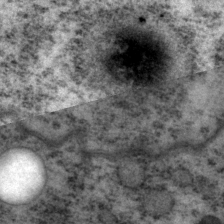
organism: P. pacificus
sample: Pharynx